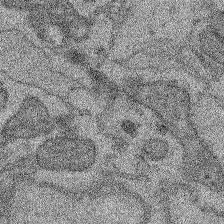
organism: Human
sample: HeLa cells